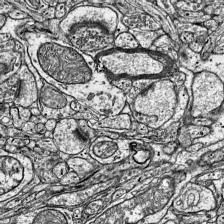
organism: Mouse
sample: Visual Cortex